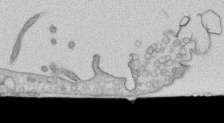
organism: Human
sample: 1205lu cells